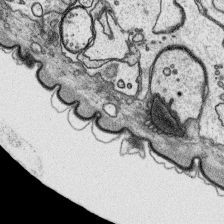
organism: Platynereis dumerilii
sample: Parapodia